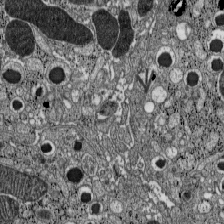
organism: C57BL Mouse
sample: Pancreatic islet